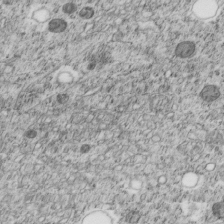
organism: C. elegans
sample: C. elegans embryo early stage